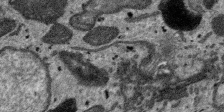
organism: Human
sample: Lung epithelial cells, uninfected (mock) control